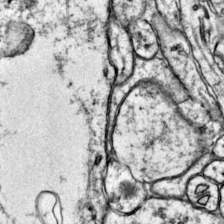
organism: Mouse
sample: Primary visual cortex